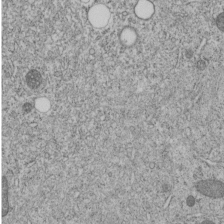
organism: C. elegans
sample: C. elegans embryo early stage